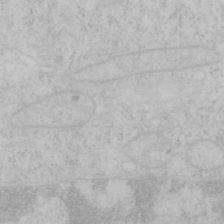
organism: Mouse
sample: OT-I killer T cells with ID8 ovarian cancer cells